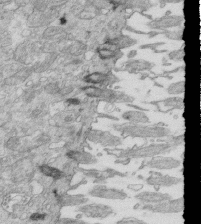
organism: Mouse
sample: Multiciliated cells